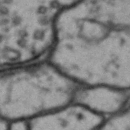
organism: Drosophila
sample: Brain